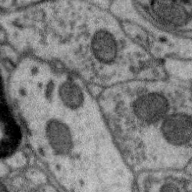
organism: Zebra finch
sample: Brain